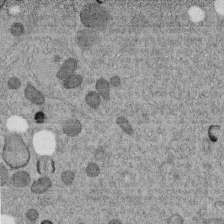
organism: C. elegans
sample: C. elegans embryo early stage